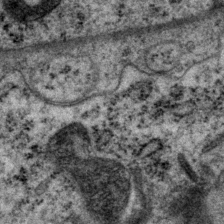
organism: P. pacificus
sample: Pharynx